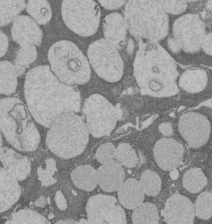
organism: Rat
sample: Salivary granule